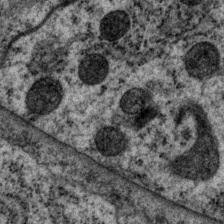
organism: P. pacificus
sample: Pharynx